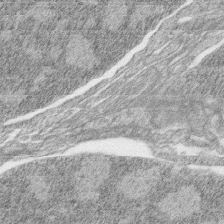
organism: Zebrafish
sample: synaptic ribbons in rod cells and cone cells